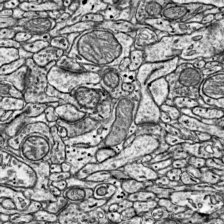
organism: Mouse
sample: Visual Cortex